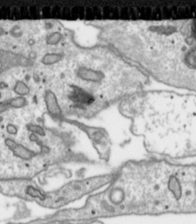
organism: Toxoplasma gondii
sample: Parasites in a vacuole inside a host cell